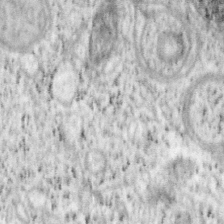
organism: Mouse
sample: OT-I killer T cells with ID8 ovarian cancer cells